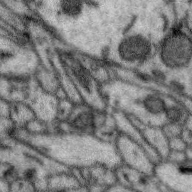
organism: Zebra finch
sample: Brain